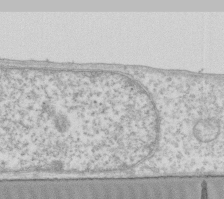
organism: Human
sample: Fibroblast cells